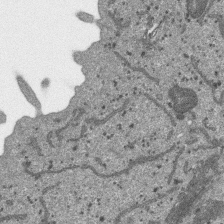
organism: Human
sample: Lung epithelial cells infected with SARS-CoV-2